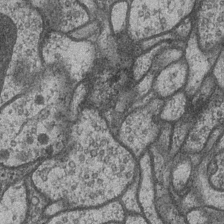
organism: Drosophila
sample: Optic medulla